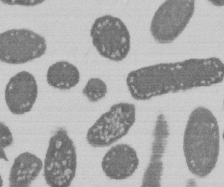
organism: E. coli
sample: Bacterial nucleoid